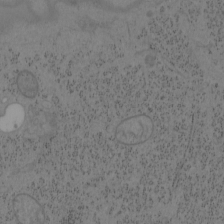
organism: Mouse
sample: OT-I killer T cells with ID8 ovarian cancer cells